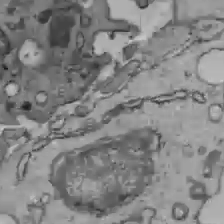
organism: C57BL Mouse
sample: Liver